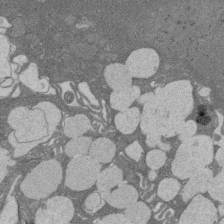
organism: Rat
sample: Salivary granule